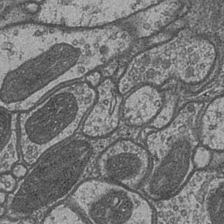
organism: Drosophila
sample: Optic medulla